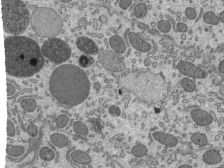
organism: Mouse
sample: Mouse epididymis efferent ductule cilia